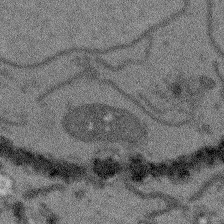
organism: Arabidopsis thaliana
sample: Root tip